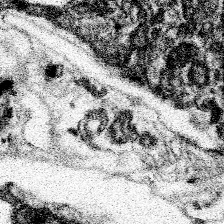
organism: Spongilla lacustris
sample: Neuroid cell